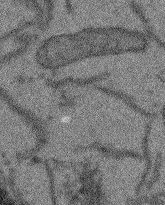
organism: Arabidopsis thaliana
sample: Root tip